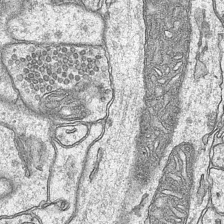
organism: Mouse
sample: CA1 Hippocampus